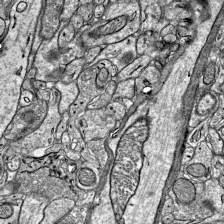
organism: Mouse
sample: Visual Cortex